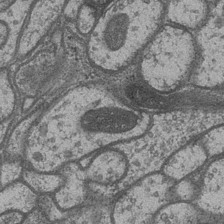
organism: Drosophila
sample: Optic medulla